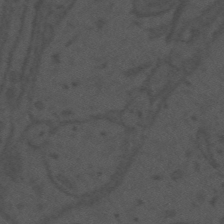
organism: Mouse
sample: Suprachiasmatic nucleus